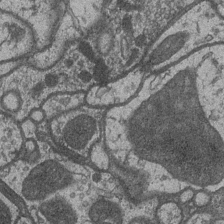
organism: Drosophila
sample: Optic medulla